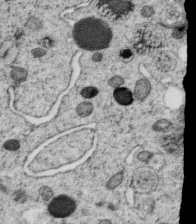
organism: C. elegans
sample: C. elegans oocyte; sperm cells